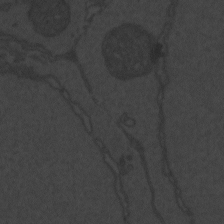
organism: Zebrafish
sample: Macrophage infected with Toxoplasma gondii